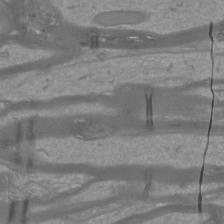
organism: Mouse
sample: Cortical neurons